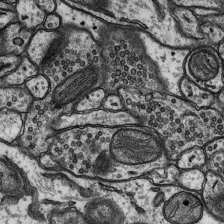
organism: Rat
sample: Hippocampus